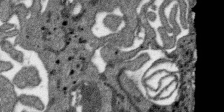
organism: Human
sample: Lung epithelial cells, uninfected (mock) control